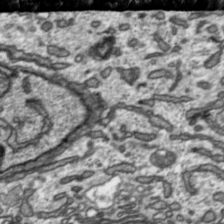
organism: Toxoplasma gondii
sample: Parasites in a vacuole inside a host cell